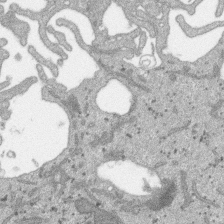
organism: Human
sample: Lung epithelial cells infected with SARS-CoV-2